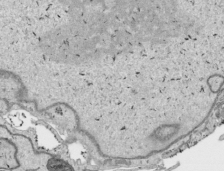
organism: Human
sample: Mitochondria in HCT116 cells